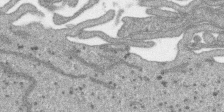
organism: Human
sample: Lung epithelial cells infected with SARS-CoV-2